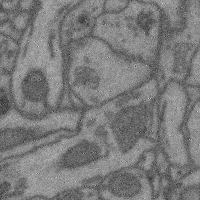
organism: Mouse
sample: Cerebral cortex